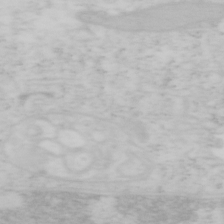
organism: Mouse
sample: OT-I killer T cells with ID8 ovarian cancer cells